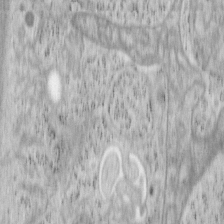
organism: Human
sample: HeLa cells